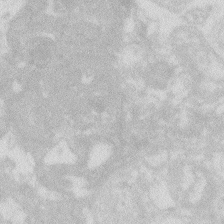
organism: Zebrafish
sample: Macrophage